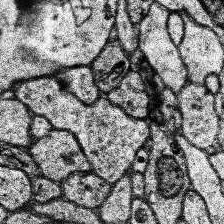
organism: Human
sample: Temporal Lobe